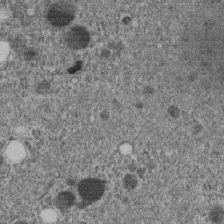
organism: C. elegans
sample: C. elegans embryo early stage